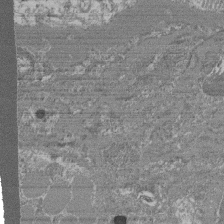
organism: Mouse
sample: Glomerulus